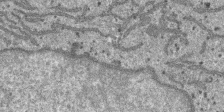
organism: Human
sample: Lung epithelial cells infected with SARS-CoV-2